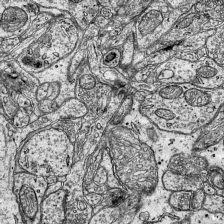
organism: Mouse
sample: Visual Cortex